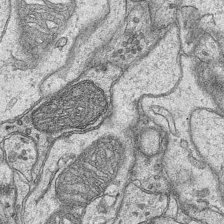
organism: Mouse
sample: CA1 Hippocampus